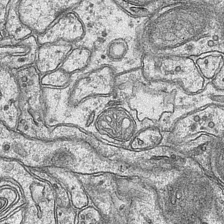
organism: Mouse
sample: CA1 Hippocampus